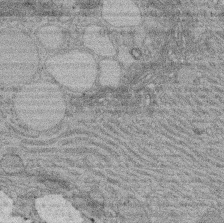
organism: Rat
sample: Salivary granule